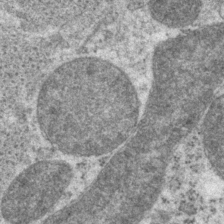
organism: P. pacificus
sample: Pharynx